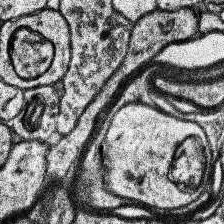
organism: Human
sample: Temporal Lobe